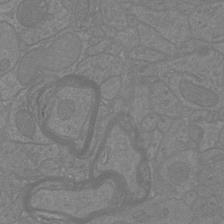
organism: Mouse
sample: Cortical neurons